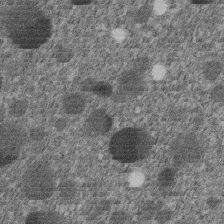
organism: C. elegans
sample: C. elegans embryo early stage